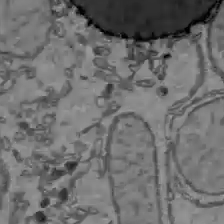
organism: C57BL Mouse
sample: Liver